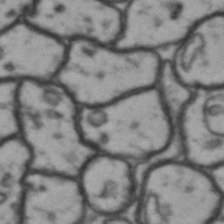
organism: Drosophila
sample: Brain